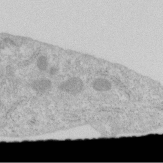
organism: Human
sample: Centriole in RPE cells